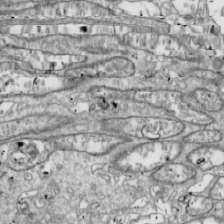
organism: Drosophila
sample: Cell division; meiosis; drosophila spermatocytes